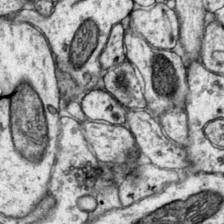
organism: Mouse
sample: Primary visual cortex